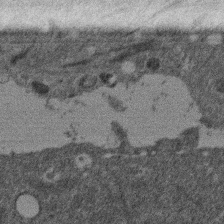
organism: Mouse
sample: Dividing mouse embryo 1 cell stage